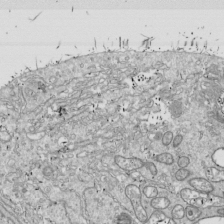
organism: Drosophila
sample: Cell division; meiosis; drosophila spermatocytes